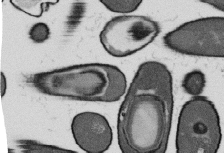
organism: B. subtilis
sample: Bacterial spore